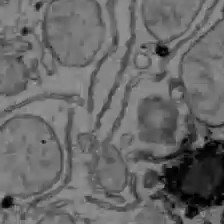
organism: C57BL Mouse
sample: Liver